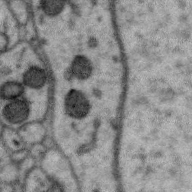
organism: Zebra finch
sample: Brain